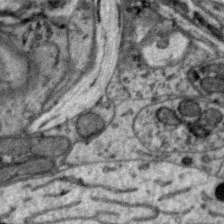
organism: Zebra finch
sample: Brain